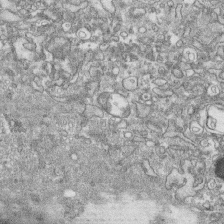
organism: Human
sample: CRL-1474